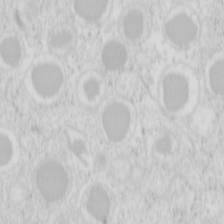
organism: Mouse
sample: Pancreas